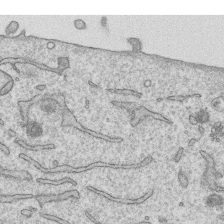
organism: Human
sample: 1205lu cells